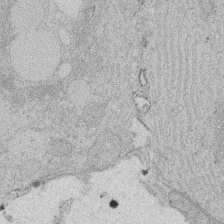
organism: Rat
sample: Salivary granule